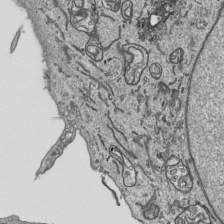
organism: Human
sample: Mitochondria in HCT116 cells